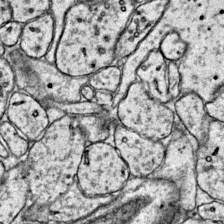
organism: Mouse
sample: Primary visual cortex